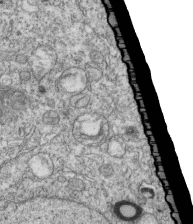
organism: Human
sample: HeLa cell HIV synapse